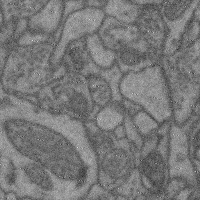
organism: Mouse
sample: Cerebral cortex